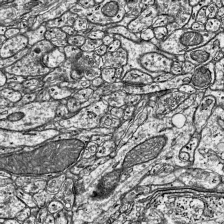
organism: Mouse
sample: Visual Cortex